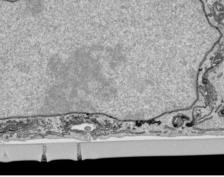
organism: Human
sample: Mitochondria in HCT116 cells